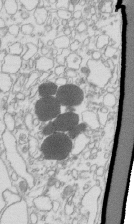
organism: Mouse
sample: Macrophages